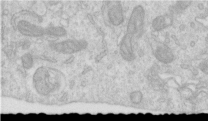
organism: Human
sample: Centriole in RPE cells